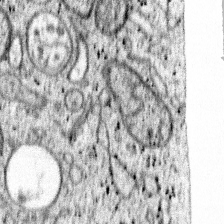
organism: Human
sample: HeLa cells